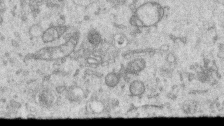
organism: Human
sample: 1205lu cells